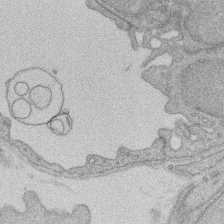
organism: Rat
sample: Salivary granule